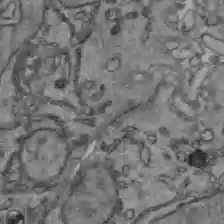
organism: C57BL Mouse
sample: Liver